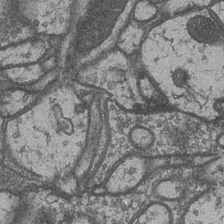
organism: Drosophila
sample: Optic medulla